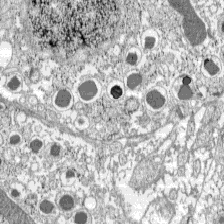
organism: C57BL Mouse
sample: Pancreatic islet